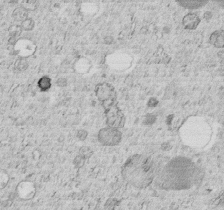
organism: C. elegans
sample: C. elegans embryo early stage